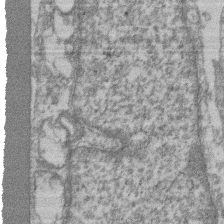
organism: Mouse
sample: T cell stromal cell synapse